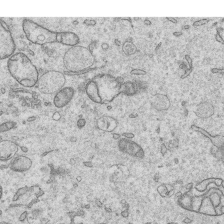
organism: Human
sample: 1205lu cells